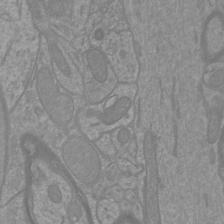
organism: Mouse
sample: Cortical neurons